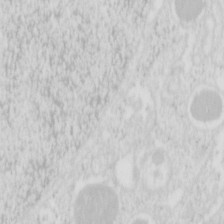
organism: Mouse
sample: Pancreas